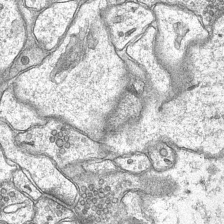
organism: Mouse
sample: CA1 Hippocampus